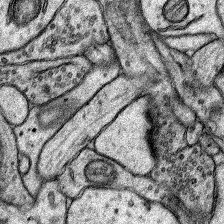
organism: Rat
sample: Hippocampus